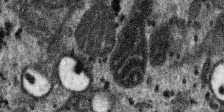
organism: Human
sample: Lung epithelial cells infected with SARS-CoV-2